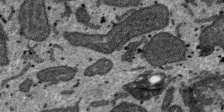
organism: Human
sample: Lung epithelial cells, uninfected (mock) control